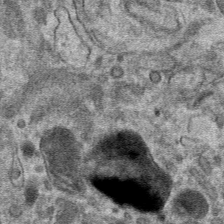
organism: Mouse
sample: Mouse hepatocytes